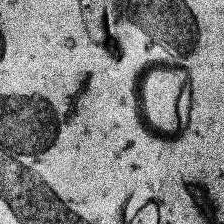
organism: Human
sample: Temporal Lobe